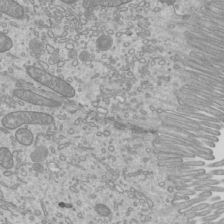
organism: Mouse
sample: Cilia; mouse epididymis